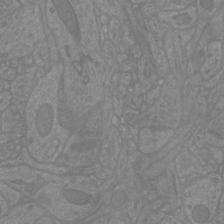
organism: Mouse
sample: Cortical neurons